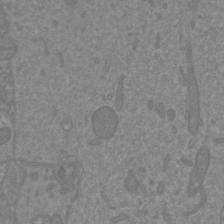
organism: Mouse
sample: Cortical neurons